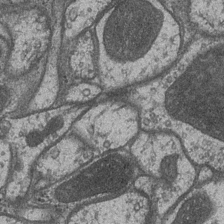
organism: Drosophila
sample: Optic medulla